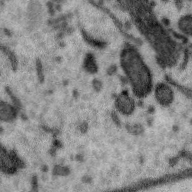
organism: Zebra finch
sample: Brain